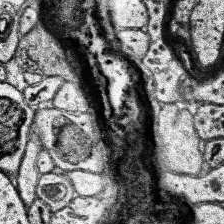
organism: Human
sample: Temporal Lobe